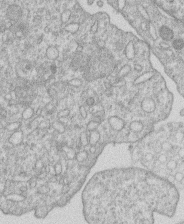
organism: Human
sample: Macrophage cells